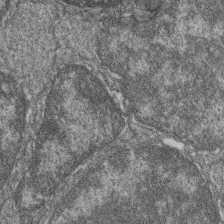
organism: Zebrafish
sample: Cilia; retinal pigment epithelium